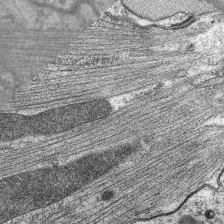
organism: C. elegans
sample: Pharynx